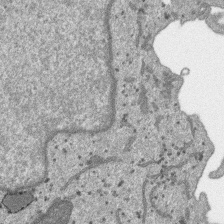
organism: Human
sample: Lung epithelial cells infected with SARS-CoV-2